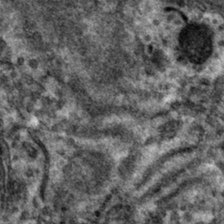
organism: Mouse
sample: Mouse hepatocytes